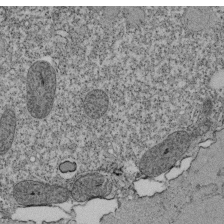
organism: Tetrahymena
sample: Cilia in tetrahymena